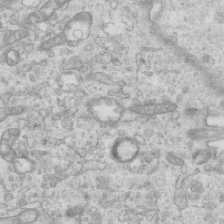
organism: Mouse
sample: Centriole in ependymal cells